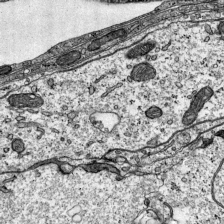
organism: Mouse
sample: Visual Cortex